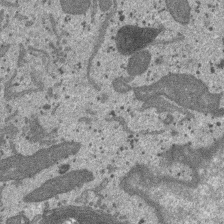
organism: Human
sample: Lung epithelial cells infected with SARS-CoV-2